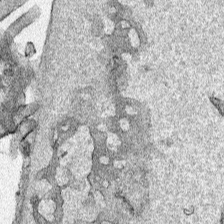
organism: Human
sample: Mitochondria in HCT116 cells